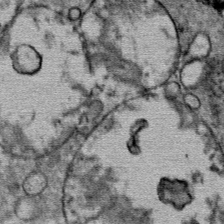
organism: Mouse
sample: Mouse Salivary gland